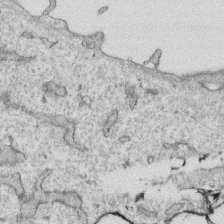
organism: Human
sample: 1205lu cells